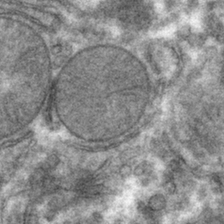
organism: Mouse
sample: Mouse hepatocytes